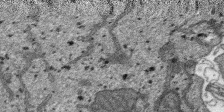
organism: Human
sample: Lung epithelial cells infected with SARS-CoV-2